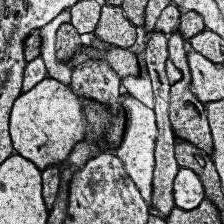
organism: Human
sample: Temporal Lobe